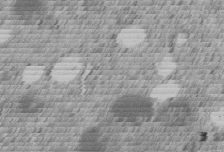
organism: C. elegans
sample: C. elegans embryo early stage